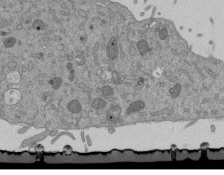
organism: Mouse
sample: ED-1 cell nuclei; centrioles